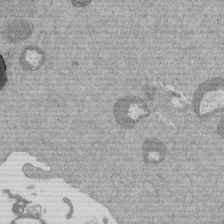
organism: Mouse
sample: Dividing mouse embryo 1 cell stage